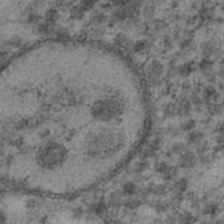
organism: C. elegans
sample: C. elegans embryo